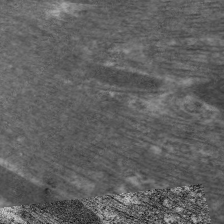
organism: C. elegans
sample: Pharynx